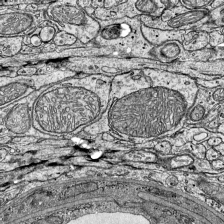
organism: Mouse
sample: Visual Cortex